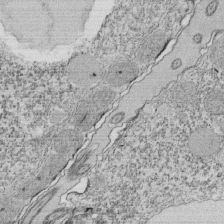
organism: Tetrahymena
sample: Cilia in tetrahymena